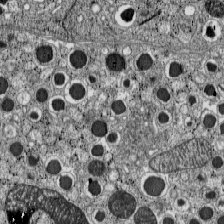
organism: C57BL Mouse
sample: Pancreatic islet